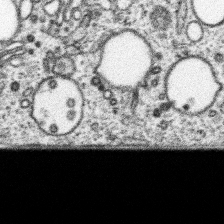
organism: Human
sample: HeLa cells